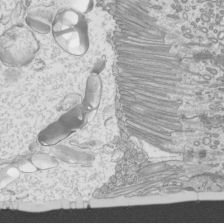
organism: Mouse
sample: Cilia; mouse epididymis